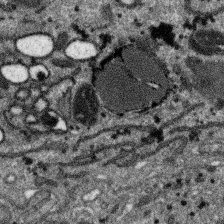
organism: Human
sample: Lung epithelial cells infected with SARS-CoV-2